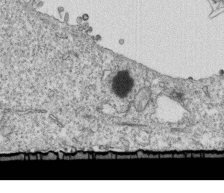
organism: Human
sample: HeLa cell HIV synapse